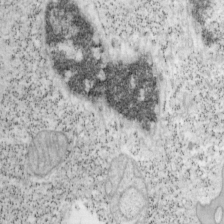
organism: Mouse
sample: OT-I killer T cells with ID8 ovarian cancer cells